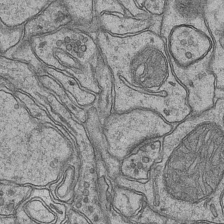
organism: Mouse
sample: CA1 Hippocampus